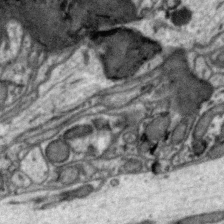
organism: Zebra finch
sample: Brain